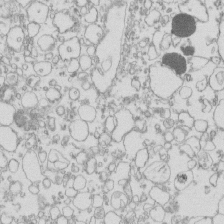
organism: Mouse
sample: Macrophages